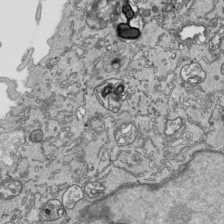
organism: Human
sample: Mitochondria in HCT116 cells